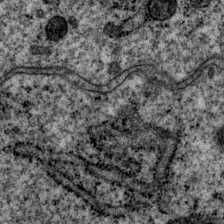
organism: P. pacificus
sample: Pharynx